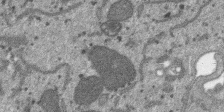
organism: Human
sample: Lung epithelial cells infected with SARS-CoV-2